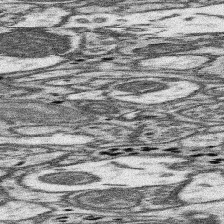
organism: Mouse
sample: Somatosensory cortex neuropil